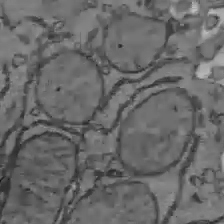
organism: C57BL Mouse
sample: Liver